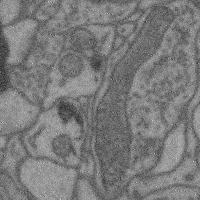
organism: Mouse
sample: Cerebral cortex